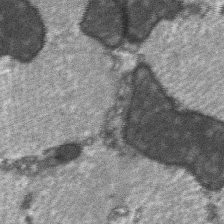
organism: C57BL Mouse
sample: Soleus